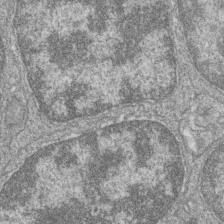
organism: Zebrafish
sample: Cilia; retinal pigment epithelium